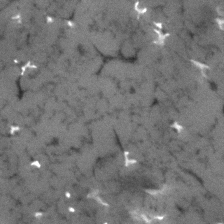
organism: Human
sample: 1205lu cells